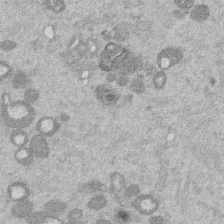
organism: Mouse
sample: Dividing mouse embryo 1 cell stage